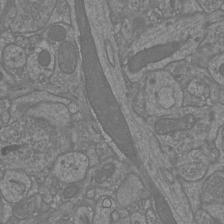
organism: Mouse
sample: Cortical neurons